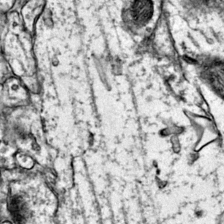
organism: Mouse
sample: Primary visual cortex